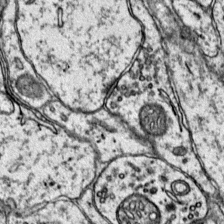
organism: Mouse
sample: Primary visual cortex